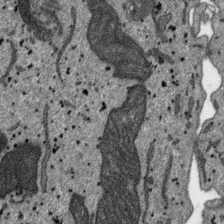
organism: Human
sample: Lung epithelial cells, uninfected (mock) control